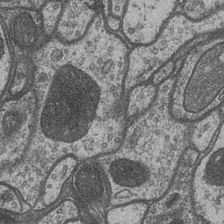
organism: Drosophila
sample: Optic medulla